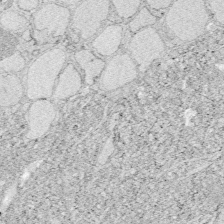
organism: Zebrafish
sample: Whole-Brain